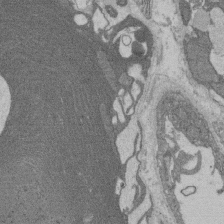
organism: Rat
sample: Salivary granule